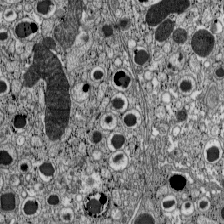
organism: C57BL Mouse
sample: Pancreatic islet